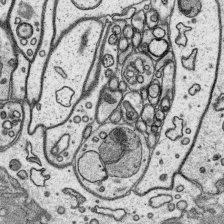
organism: Platynereis dumerilii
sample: Parapodia